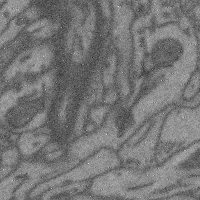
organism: Mouse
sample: Cerebral cortex